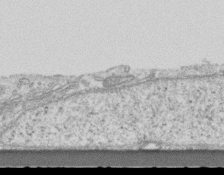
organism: Mouse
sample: Centriole in ependymal cells